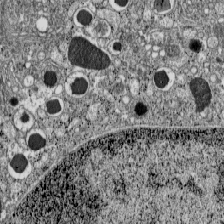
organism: C57BL Mouse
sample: Pancreatic islet